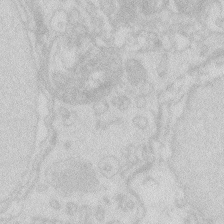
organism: Zebrafish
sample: Macrophage